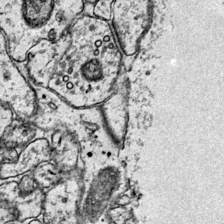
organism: Mouse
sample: Primary visual cortex